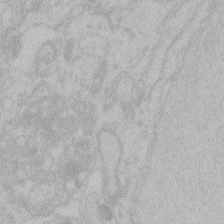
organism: Zebrafish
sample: Macrophage infected with Toxoplasma gondii